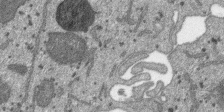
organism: Human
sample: Lung epithelial cells infected with SARS-CoV-2